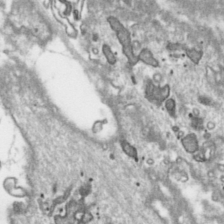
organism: Toxoplasma gondii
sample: Parasites in a vacuole inside a host cell